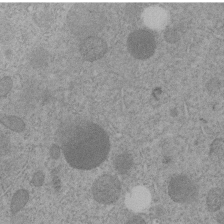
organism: C. elegans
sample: C. elegans embryo early stage